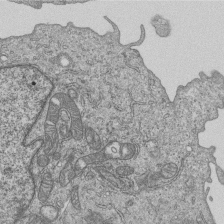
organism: Human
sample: MDA-MB-231 cells